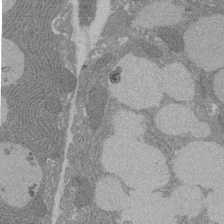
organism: Rat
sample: Salivary granule